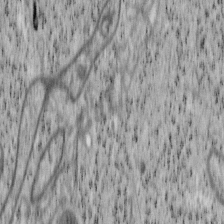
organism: Human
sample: HeLa cells